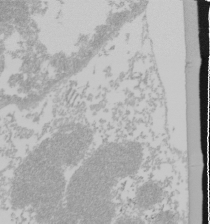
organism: Mouse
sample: Cancer cell death in ED-1 cells